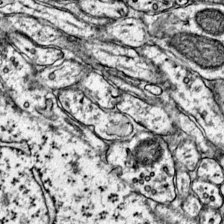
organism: Mouse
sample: Primary visual cortex